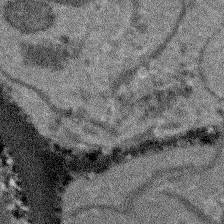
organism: Arabidopsis thaliana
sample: Root tip